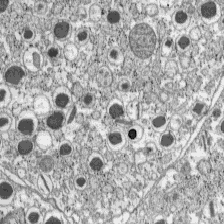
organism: C57BL Mouse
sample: Pancreatic islet